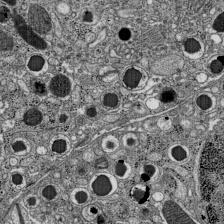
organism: C57BL Mouse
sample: Pancreatic islet